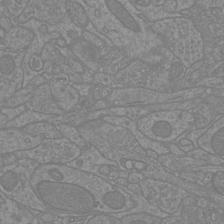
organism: Mouse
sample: Cortical neurons